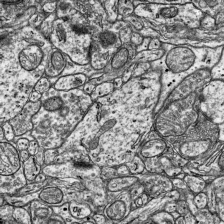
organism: Mouse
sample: Visual Cortex